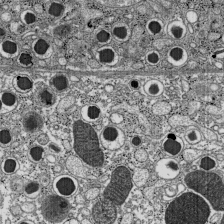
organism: C57BL Mouse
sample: Pancreatic islet